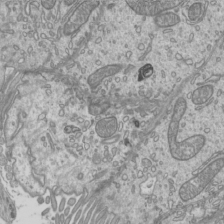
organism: Mouse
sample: Cilia; mouse epididymis